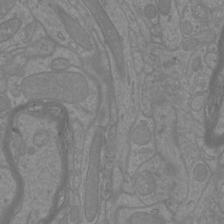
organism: Mouse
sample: Cortical neurons